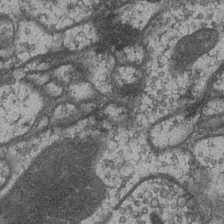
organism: Drosophila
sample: Optic medulla